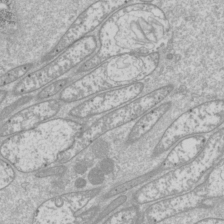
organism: Drosophila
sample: Cell division; meiosis; drosophila spermatocytes